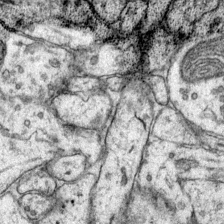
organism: Mouse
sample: Primary visual cortex